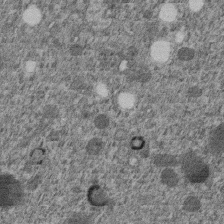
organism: C. elegans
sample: C. elegans embryo early stage